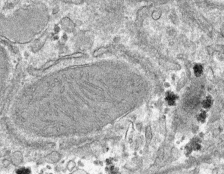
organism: Mouse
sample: Mouse hepatocytes